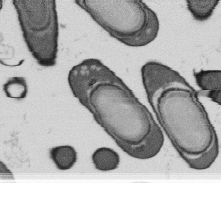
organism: B. subtilis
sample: Bacterial spore